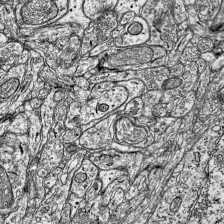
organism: Mouse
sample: Visual Cortex